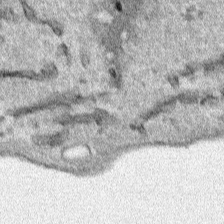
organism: Human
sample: Mitochondria in HCT116 cells